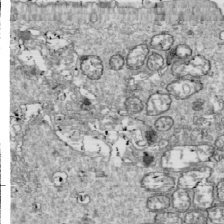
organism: Drosophila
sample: Cell division; meiosis; drosophila spermatocytes